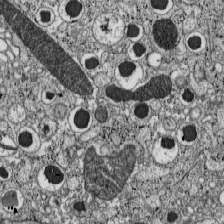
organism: C57BL Mouse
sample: Pancreatic islet